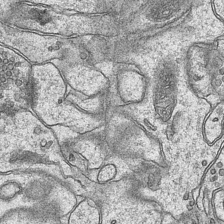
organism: Mouse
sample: CA1 Hippocampus